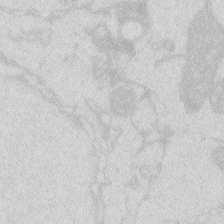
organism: Zebrafish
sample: Macrophage